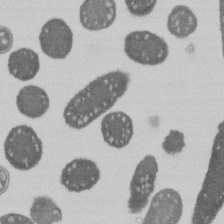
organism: E. coli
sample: Bacterial nucleoid